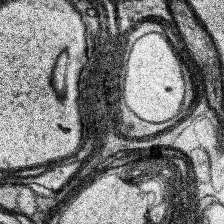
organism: Human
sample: Temporal Lobe